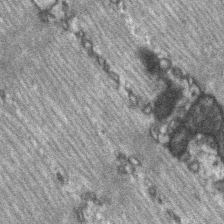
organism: C57BL Mouse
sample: Soleus